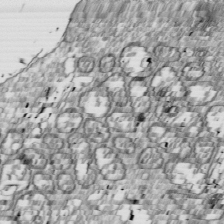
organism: Drosophila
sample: Cell division; meiosis; drosophila spermatocytes